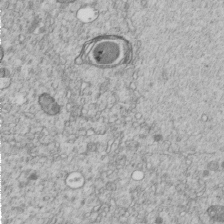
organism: C. elegans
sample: C. elegans embryo early stage